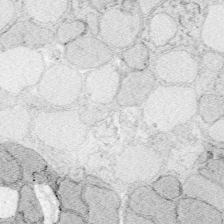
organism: Zebrafish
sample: Whole-Brain